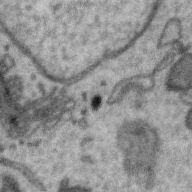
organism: Zebra finch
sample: Brain